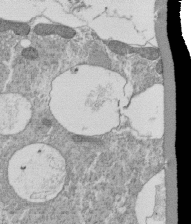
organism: Tetrahymena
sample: Cilia in tetrahymena